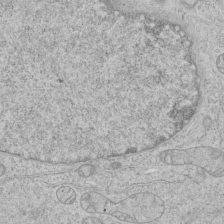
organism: Human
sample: Mitochondria in HCT116 cells